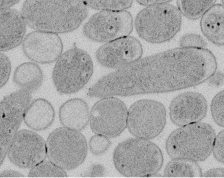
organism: E. coli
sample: Bacterial nucleoid